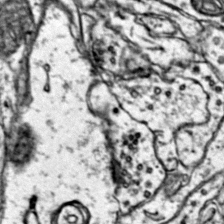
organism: Mouse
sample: Primary visual cortex